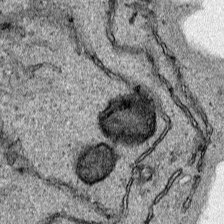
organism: Human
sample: Mitochondria in HCT116 cells